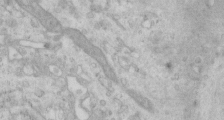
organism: Human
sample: Centriole in RPE cells